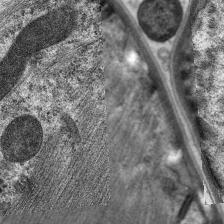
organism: C. elegans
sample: Pharynx